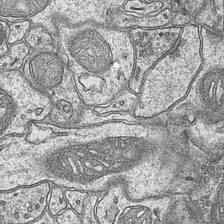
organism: Mouse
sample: CA1 Hippocampus